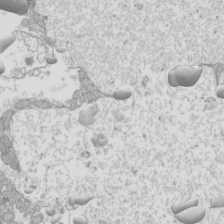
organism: Mouse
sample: Cilia; mouse epididymis